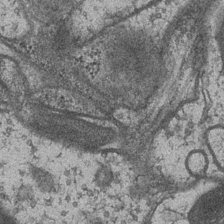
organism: Drosophila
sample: Optic medulla